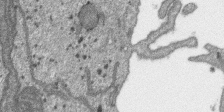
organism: Human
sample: Lung epithelial cells infected with SARS-CoV-2